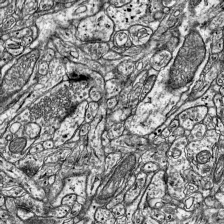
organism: Mouse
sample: Visual Cortex